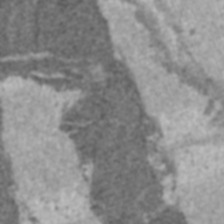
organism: C57BL Mouse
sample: Heart